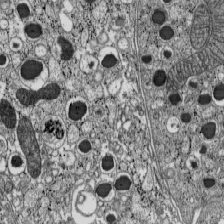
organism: C57BL Mouse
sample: Pancreatic islet